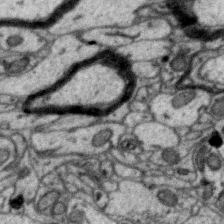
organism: Zebra finch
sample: Brain